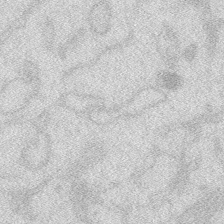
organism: Zebrafish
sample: Macrophage